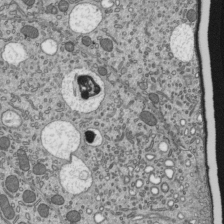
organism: Mouse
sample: Mouse epididymis efferent ductule cilia